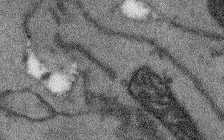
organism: Arabidopsis thaliana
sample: Root tip